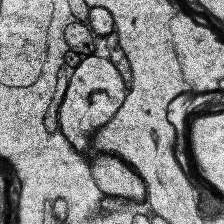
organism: Human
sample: Temporal Lobe